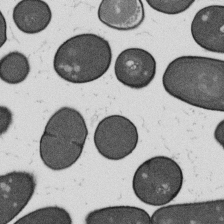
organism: B. subtilis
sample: Bacterial spore